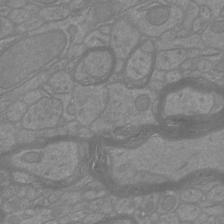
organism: Mouse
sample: Cortical neurons